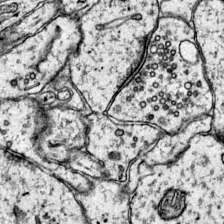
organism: Mouse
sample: Primary visual cortex